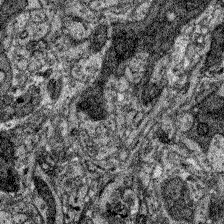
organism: Zebrafish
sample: Larval olfactory bulb